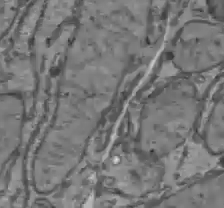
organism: C57BL Mouse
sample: Liver